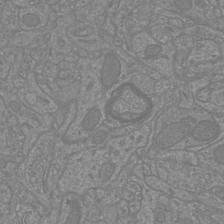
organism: Mouse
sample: Cortical neurons